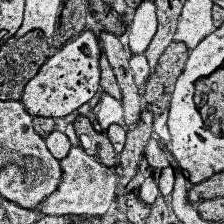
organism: Human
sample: Temporal Lobe